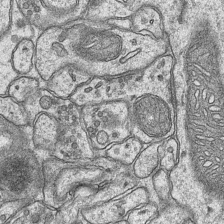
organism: Mouse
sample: CA1 Hippocampus